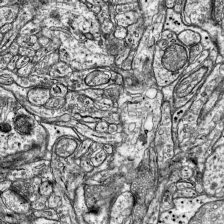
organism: Mouse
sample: Visual Cortex